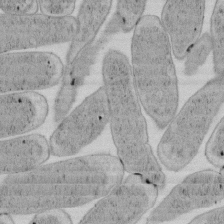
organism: E. coli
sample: Bacterial nucleoid